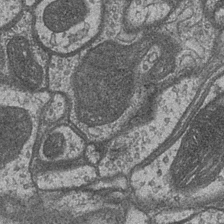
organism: Drosophila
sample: Optic medulla